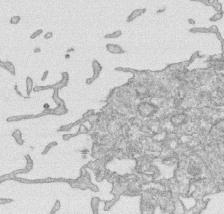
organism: Human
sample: HeLa cell HIV synapse